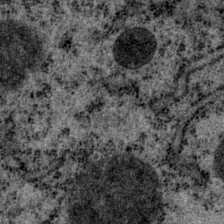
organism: P. pacificus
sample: Pharynx